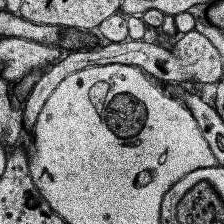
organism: Human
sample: Temporal Lobe